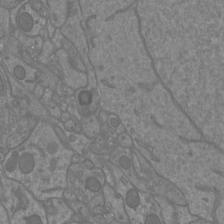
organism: Mouse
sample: Cortical neurons